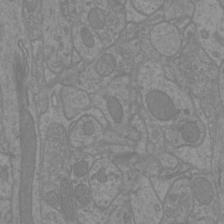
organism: Mouse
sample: Cortical neurons